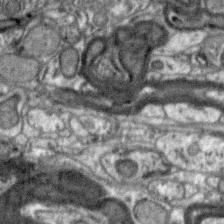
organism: Zebra finch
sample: Brain